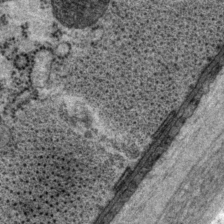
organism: P. pacificus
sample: Pharynx